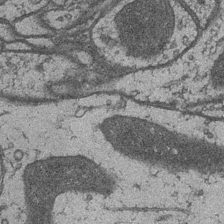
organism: Drosophila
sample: Optic medulla